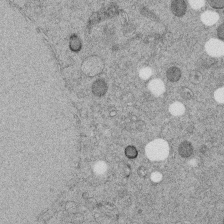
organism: C. elegans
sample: C. elegans embryo early stage